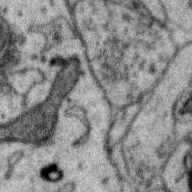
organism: Zebra finch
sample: Brain